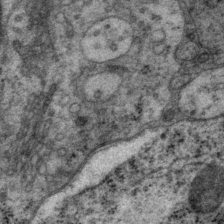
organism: P. pacificus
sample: Pharynx